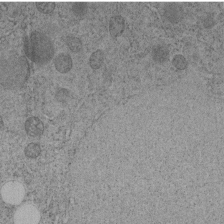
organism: C. elegans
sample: C. elegans embryo early stage